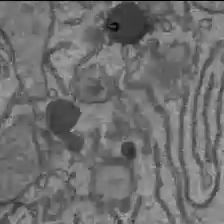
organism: C57BL Mouse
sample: Liver